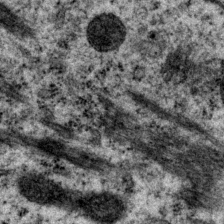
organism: P. pacificus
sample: Pharynx